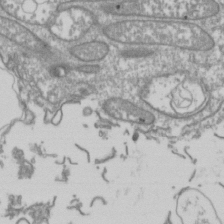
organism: Drosophila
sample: Cell division; meiosis; drosophila spermatocytes